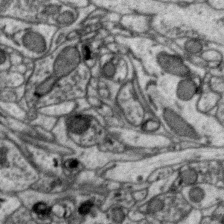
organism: Zebra finch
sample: Brain